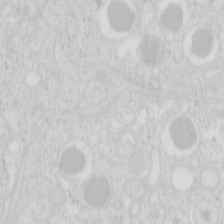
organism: Mouse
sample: Pancreas